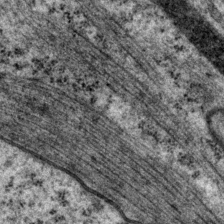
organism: P. pacificus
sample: Pharynx